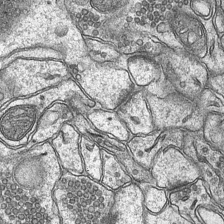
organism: Mouse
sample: CA1 Hippocampus